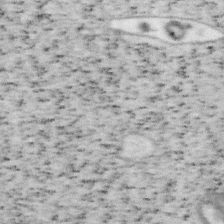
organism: Mouse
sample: OT-I killer T cells with ID8 ovarian cancer cells